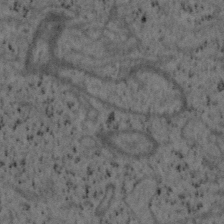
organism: Human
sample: HeLa cells